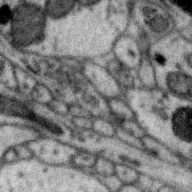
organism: Zebra finch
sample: Brain